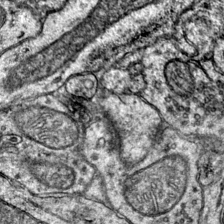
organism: Mouse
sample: Primary visual cortex